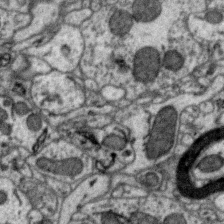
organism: Zebra finch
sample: Brain